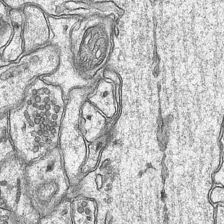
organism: Mouse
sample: CA1 Hippocampus